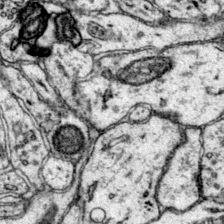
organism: Mouse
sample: Primary visual cortex